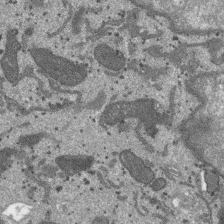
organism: Human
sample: Lung epithelial cells infected with SARS-CoV-2